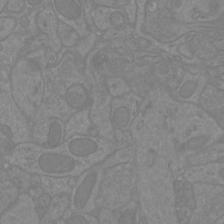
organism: Mouse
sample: Cortical neurons